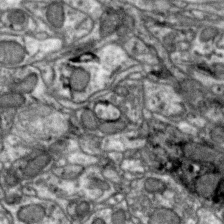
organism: Zebra finch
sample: Brain